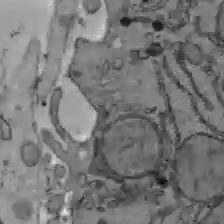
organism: C57BL Mouse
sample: Liver